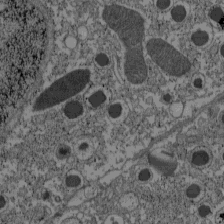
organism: C57BL Mouse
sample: Pancreatic islet